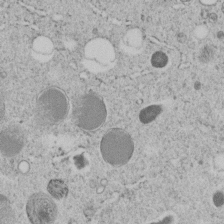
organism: C. elegans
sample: C. elegans embryo early stage